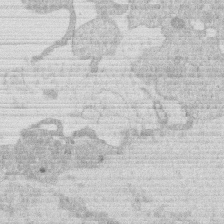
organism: Human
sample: Macrophage cells